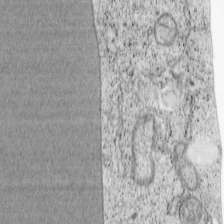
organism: African green monkey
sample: COS-7 cells